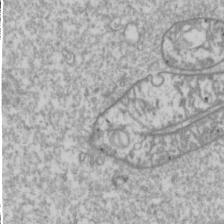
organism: Drosophila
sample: Cell division; meiosis; drosophila spermatocytes